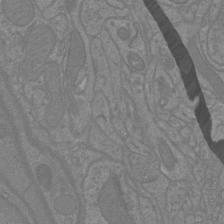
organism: Mouse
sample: Cortical neurons